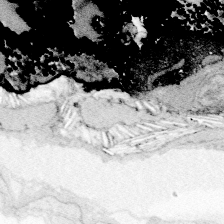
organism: Zebrafish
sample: Whole-Brain